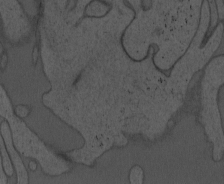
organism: Mouse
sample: OT-I killer T cells with ID8 ovarian cancer cells